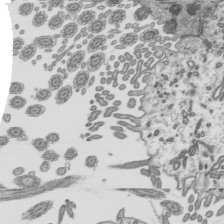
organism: Mouse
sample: Mouse epididymis efferent ductule cilia